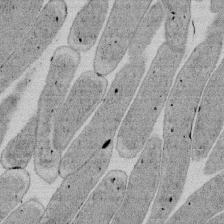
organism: E. coli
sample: Bacterial nucleoid